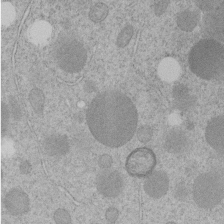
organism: C. elegans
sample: C. elegans embryo early stage